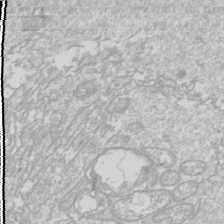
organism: Drosophila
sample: Cell division; meiosis; drosophila spermatocytes